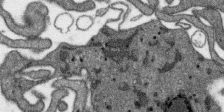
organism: Human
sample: Lung epithelial cells, uninfected (mock) control